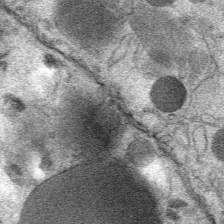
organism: Mouse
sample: Mouse Salivary gland